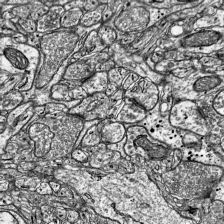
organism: Mouse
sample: Visual Cortex